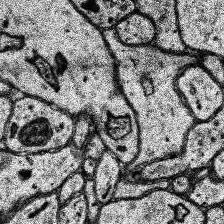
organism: Human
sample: Temporal Lobe